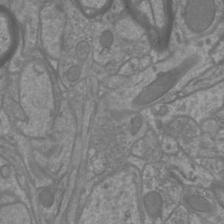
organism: Mouse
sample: Cortical neurons